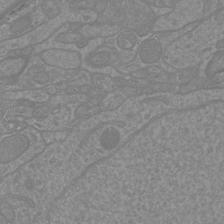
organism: Mouse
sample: Cortical neurons